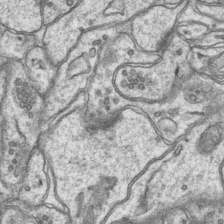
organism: Mouse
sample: CA1 Hippocampus